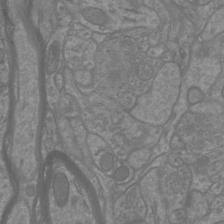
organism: Mouse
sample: Cortical neurons